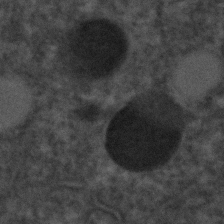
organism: C. elegans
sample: C. elegans embryo